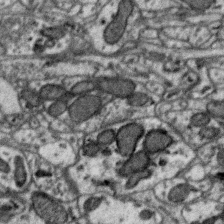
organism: Zebra finch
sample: Brain